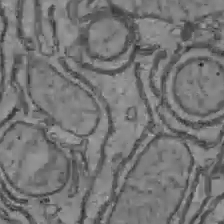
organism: C57BL Mouse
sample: Liver